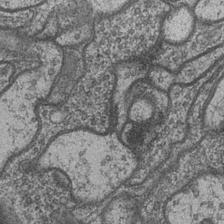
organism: Drosophila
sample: Optic medulla